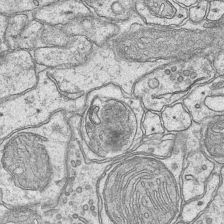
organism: Mouse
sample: CA1 Hippocampus